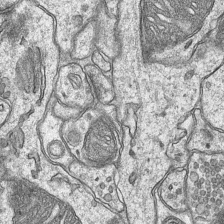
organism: Mouse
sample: CA1 Hippocampus